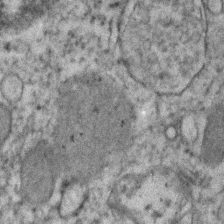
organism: Human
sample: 1205lu cells